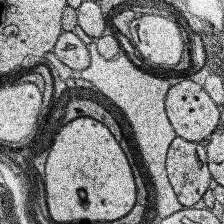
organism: Human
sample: Temporal Lobe